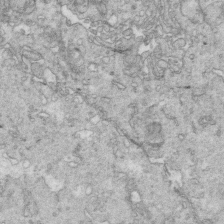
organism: Mouse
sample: Multiciliated cells